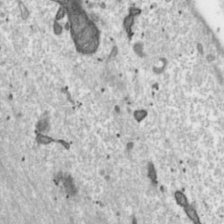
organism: Toxoplasma gondii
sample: Parasites in a vacuole inside a host cell